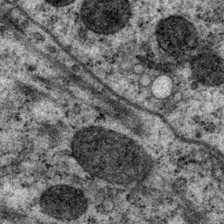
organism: P. pacificus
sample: Pharynx